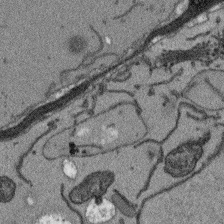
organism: Arabidopsis thaliana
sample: Root tip